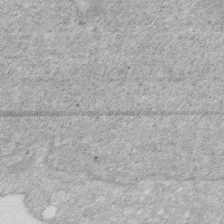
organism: Human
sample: HIV infected U937 cells